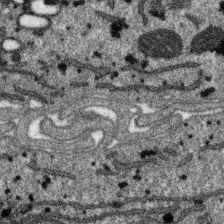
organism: Human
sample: Lung epithelial cells infected with SARS-CoV-2